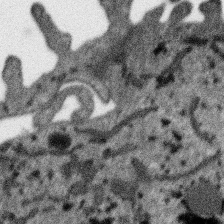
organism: Human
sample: Lung epithelial cells infected with SARS-CoV-2